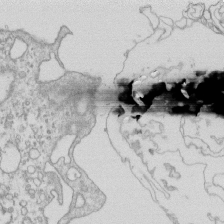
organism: Mouse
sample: Macrophages